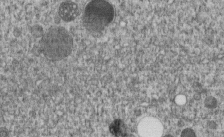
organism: C. elegans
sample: C. elegans embryo early stage